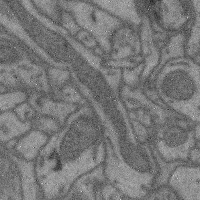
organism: Mouse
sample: Cerebral cortex